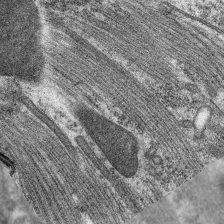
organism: C. elegans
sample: Pharynx